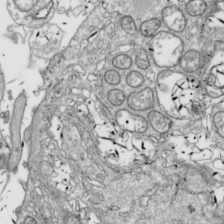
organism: Drosophila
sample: Cell division; meiosis; drosophila spermatocytes